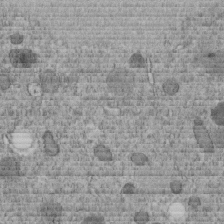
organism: C. elegans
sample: C. elegans embryo early stage